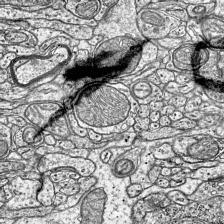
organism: Mouse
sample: Visual Cortex